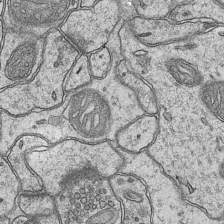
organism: Mouse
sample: CA1 Hippocampus